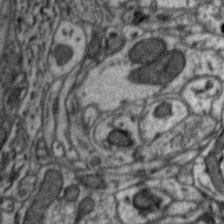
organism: Zebra finch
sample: Brain